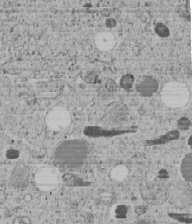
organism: C. elegans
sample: C. elegans embryo early stage